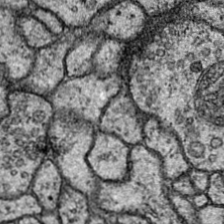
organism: Drosophila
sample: Ventral Nerve Cord